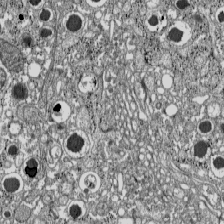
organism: C57BL Mouse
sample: Pancreatic islet